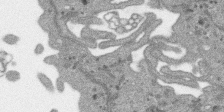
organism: Human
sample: Lung epithelial cells infected with SARS-CoV-2